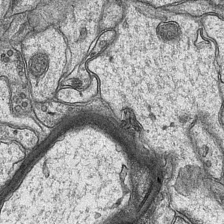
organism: Mouse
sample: CA1 Hippocampus